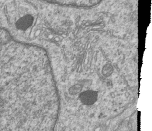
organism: Human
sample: MDA-MB-231 cells